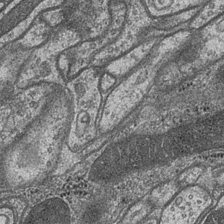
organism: Drosophila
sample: Optic medulla